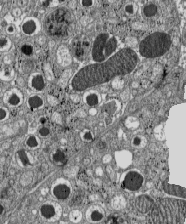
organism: C57BL Mouse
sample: Pancreatic islet